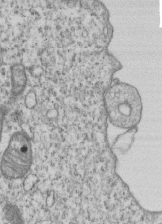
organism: Human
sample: MDA-MB-231 cells